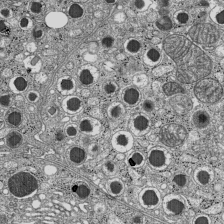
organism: C57BL Mouse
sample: Pancreatic islet